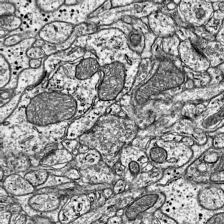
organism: Mouse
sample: Visual Cortex